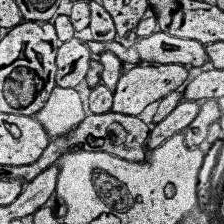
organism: Human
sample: Temporal Lobe